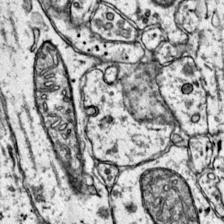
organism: Mouse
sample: Primary visual cortex